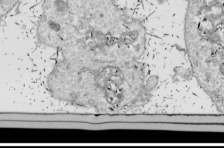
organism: Drosophila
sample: Cell division; meiosis; drosophila spermatocytes